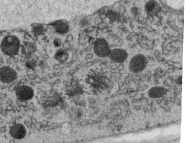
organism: C. elegans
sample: C. elegans oocyte; sperm cells